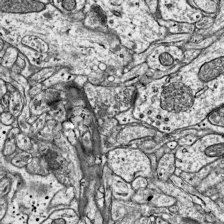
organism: Mouse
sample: Visual Cortex